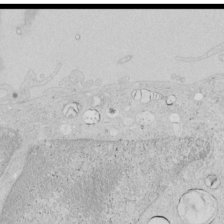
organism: Human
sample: Mitochondria in HCT116 cells